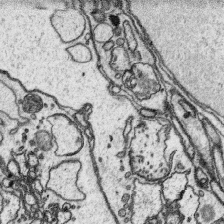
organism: Platynereis dumerilii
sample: Parapodia